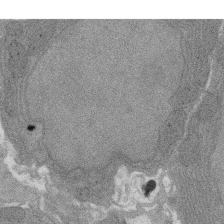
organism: Rat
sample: Salivary granule